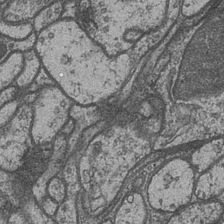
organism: Drosophila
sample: Optic medulla